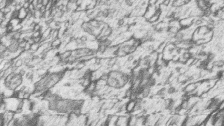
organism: Zebrafish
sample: synaptic ribbons in rod cells and cone cells